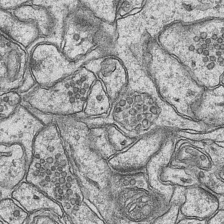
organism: Mouse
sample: CA1 Hippocampus